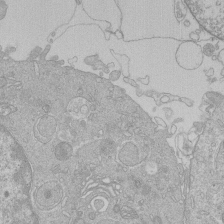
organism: Human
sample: Macrophage cells